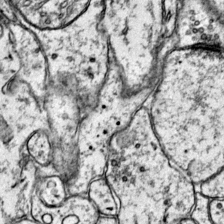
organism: Mouse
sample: Primary visual cortex